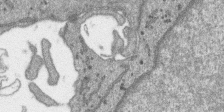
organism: Human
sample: Lung epithelial cells infected with SARS-CoV-2